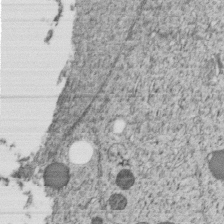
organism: C. elegans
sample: C. elegans embryo early stage